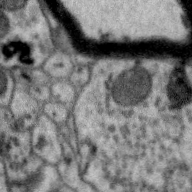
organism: Zebra finch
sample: Brain